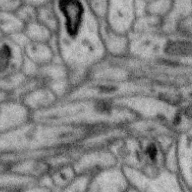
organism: Zebra finch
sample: Brain